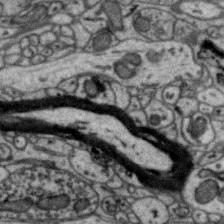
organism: Zebra finch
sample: Brain